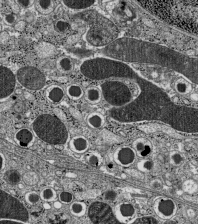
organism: C57BL Mouse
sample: Pancreatic islet